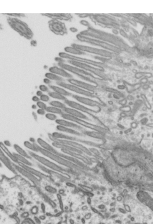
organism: Mouse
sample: Mouse epididymis efferent ductule cilia